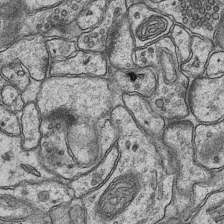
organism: Mouse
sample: CA1 Hippocampus